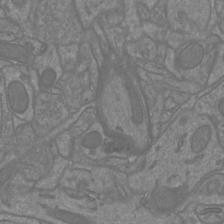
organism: Mouse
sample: Cortical neurons